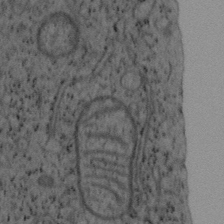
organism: Human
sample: HeLa cells